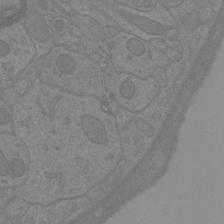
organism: Mouse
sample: Cortical neurons